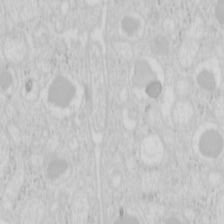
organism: Mouse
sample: Pancreas